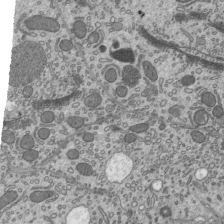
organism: Mouse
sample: Mouse epididymis efferent ductule cilia